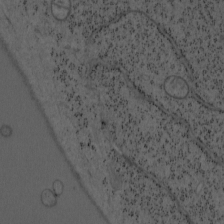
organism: Mouse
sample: OT-I killer T cells with ID8 ovarian cancer cells